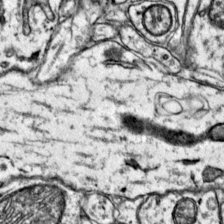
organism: Mouse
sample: Primary visual cortex